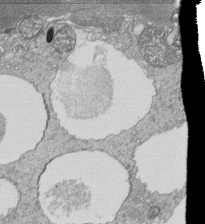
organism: Tetrahymena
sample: Cilia in tetrahymena